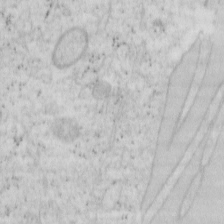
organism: Human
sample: HeLa cells